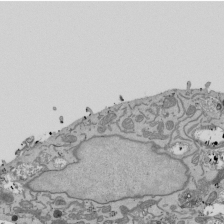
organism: Mouse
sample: ED-1 cell nuclei; centrioles